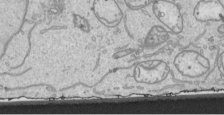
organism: Human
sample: Mitochondria in HCT116 cells